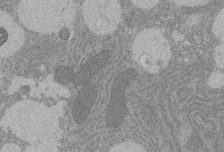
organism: Rat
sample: Salivary granule